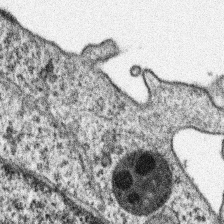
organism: Human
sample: HeLa cells